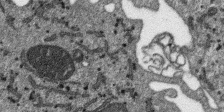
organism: Human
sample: Lung epithelial cells infected with SARS-CoV-2